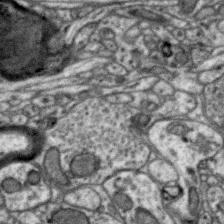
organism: Zebra finch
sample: Brain